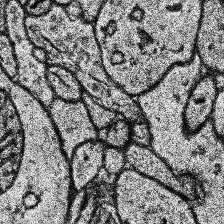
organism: Human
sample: Temporal Lobe